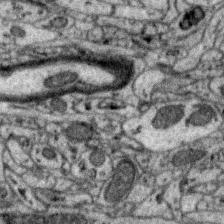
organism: Zebra finch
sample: Brain